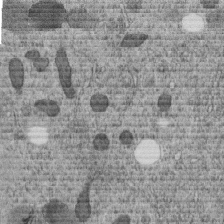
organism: C. elegans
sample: C. elegans embryo early stage